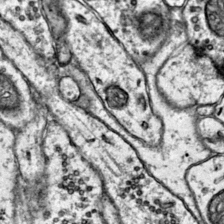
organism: Mouse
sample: Primary visual cortex